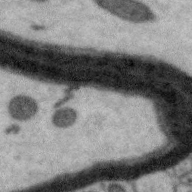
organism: Zebra finch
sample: Brain